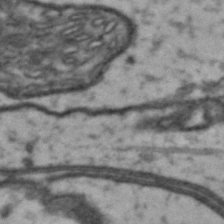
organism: Drosophila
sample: Brain